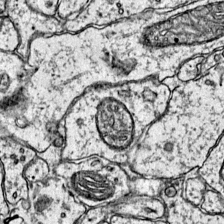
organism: Mouse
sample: Primary visual cortex